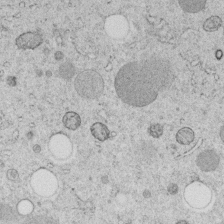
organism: C. elegans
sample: C. elegans embryo early stage